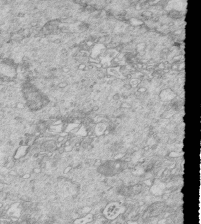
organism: Mouse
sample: Multiciliated cells